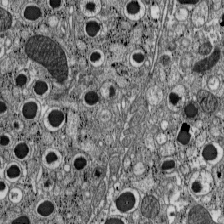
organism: C57BL Mouse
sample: Pancreatic islet